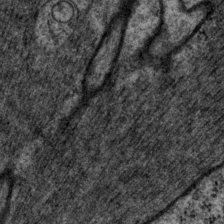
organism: P. pacificus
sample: Pharynx